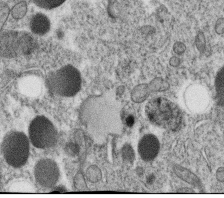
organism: C. elegans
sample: C. elegans oocyte; sperm cells